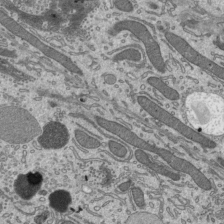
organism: Mouse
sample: Mouse epididymis efferent ductule cilia